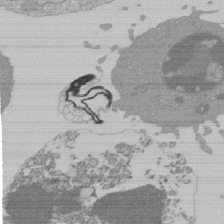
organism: Mouse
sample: Activated Pmel transgenic CD8+ T Cells